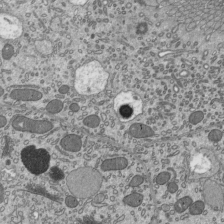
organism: Mouse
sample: Mouse epididymis efferent ductule cilia